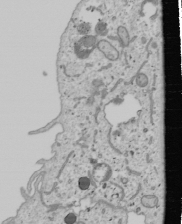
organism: Human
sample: Mitochondria in U2OS cells